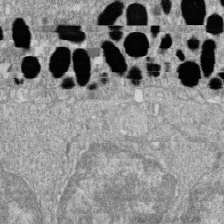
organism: Zebrafish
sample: Cilia; retinal pigment epithelium